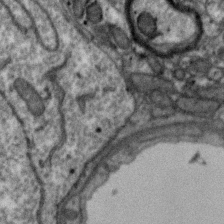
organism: Zebra finch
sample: Brain